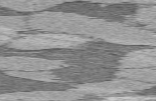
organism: C57BL Mouse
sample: Heart